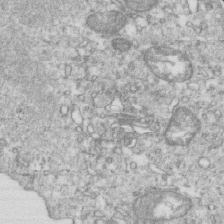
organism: Mouse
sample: Activated OT-1 CD8+ T cells